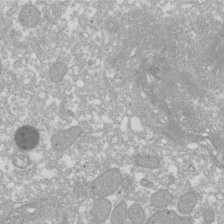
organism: Xenopus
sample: Cilia; centrioles in frog embryo cells